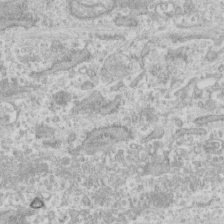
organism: Human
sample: CRL-1474